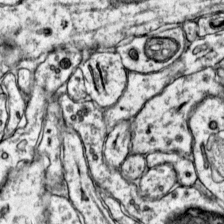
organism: Mouse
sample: Primary visual cortex